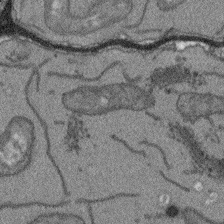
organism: Arabidopsis thaliana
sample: Root tip